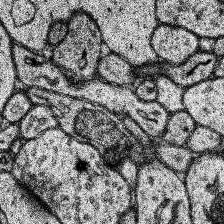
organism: Human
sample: Temporal Lobe